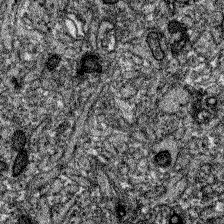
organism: Zebrafish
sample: Larval olfactory bulb